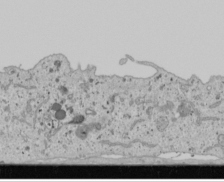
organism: Human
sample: Mitochondria in U2OS cells